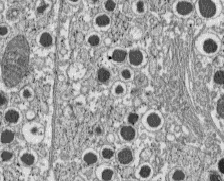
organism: C57BL Mouse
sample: Pancreatic islet